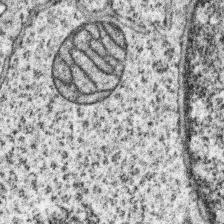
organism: Human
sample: HeLa cells